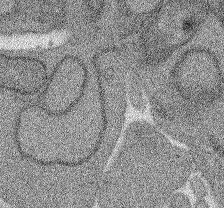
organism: Human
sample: HeLa cells